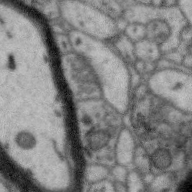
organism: Zebra finch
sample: Brain